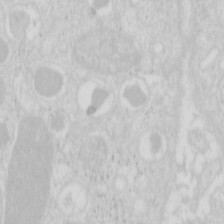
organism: Mouse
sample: Pancreas